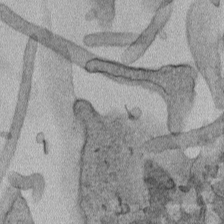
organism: Human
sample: Mitochondria in HCT116 cells